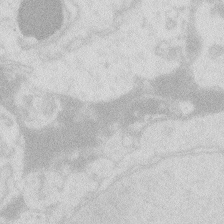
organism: Zebrafish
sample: Macrophage